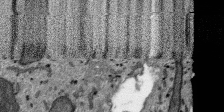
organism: Human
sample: Lung epithelial cells, uninfected (mock) control